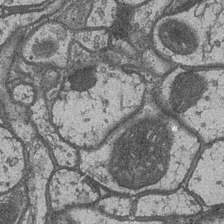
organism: Drosophila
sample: Optic medulla